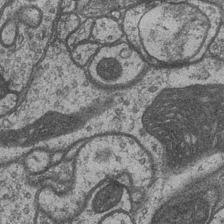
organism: Drosophila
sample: Optic medulla